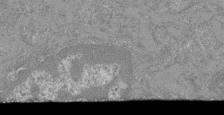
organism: Mouse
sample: Glomerulus